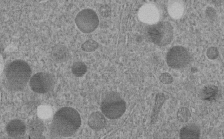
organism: C. elegans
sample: C. elegans embryo early stage